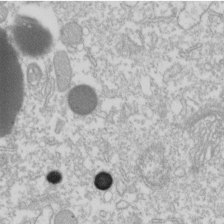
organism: Xenopus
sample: Cilia; centrioles in frog embryo cells